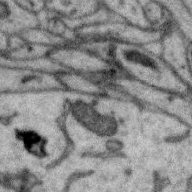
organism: Zebra finch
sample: Brain